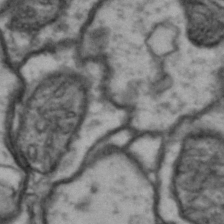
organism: Drosophila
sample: Brain